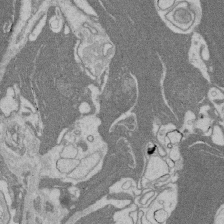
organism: Rat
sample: Salivary granule